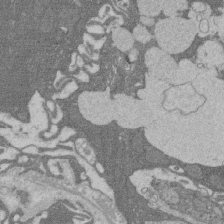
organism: Rat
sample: Salivary granule